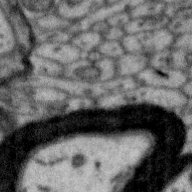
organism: Zebra finch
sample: Brain